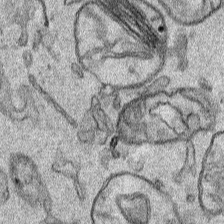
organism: Human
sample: Mitochondria in HCT116 cells